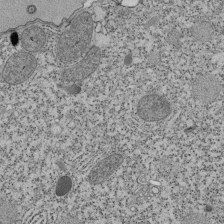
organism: Tetrahymena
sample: Cilia in tetrahymena